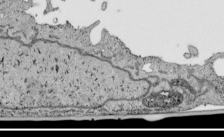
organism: Human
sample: Mitochondria in HCT116 cells